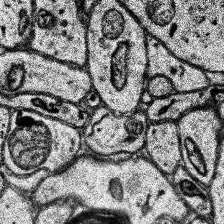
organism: Human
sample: Temporal Lobe